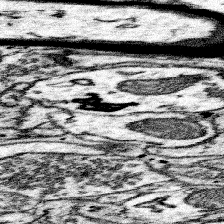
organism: Mouse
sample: Somatosensory cortex neuropil